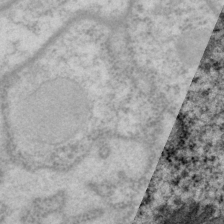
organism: P. pacificus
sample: Pharynx